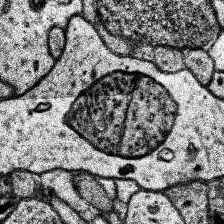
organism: Human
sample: Temporal Lobe